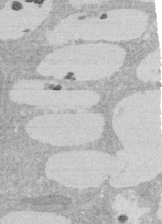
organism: Rat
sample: Salivary granule